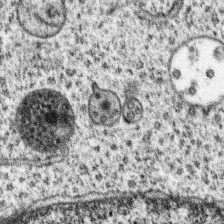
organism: Human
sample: HeLa cells